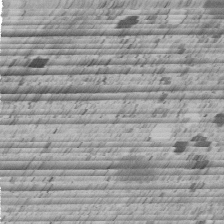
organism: C. elegans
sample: C. elegans embryo early stage